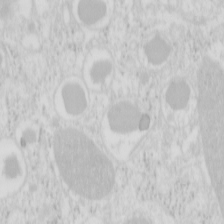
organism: Mouse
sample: Pancreas